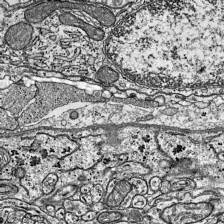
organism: Mouse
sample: Visual Cortex